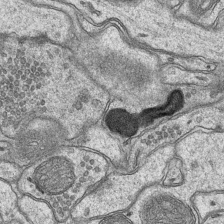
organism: Mouse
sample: CA1 Hippocampus